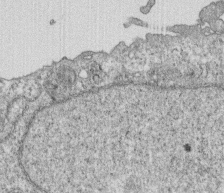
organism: Human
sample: HeLa cell HIV synapse